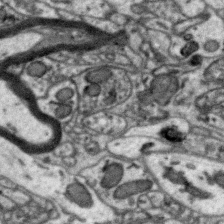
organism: Zebra finch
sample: Brain